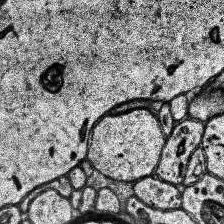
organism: Human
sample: Temporal Lobe